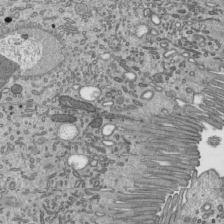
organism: Mouse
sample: Mouse epididymis efferent ductule cilia